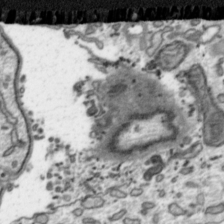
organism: Toxoplasma gondii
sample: Parasites in a vacuole inside a host cell